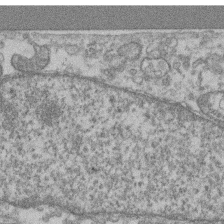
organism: Mouse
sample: T cell stromal cell synapse